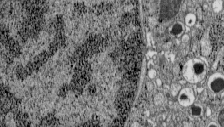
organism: C57BL Mouse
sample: Pancreatic islet